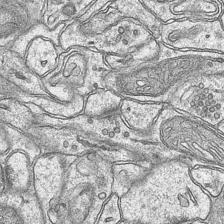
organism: Mouse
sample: CA1 Hippocampus